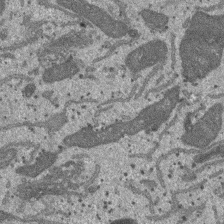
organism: Human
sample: Lung epithelial cells infected with SARS-CoV-2